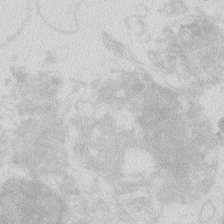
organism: Zebrafish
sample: Macrophage